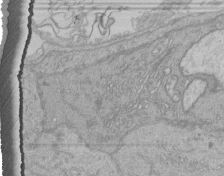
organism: Human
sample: Retinal organoid Rod and Cone cells